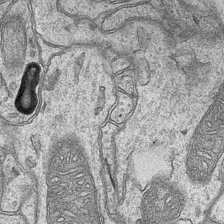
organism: Mouse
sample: CA1 Hippocampus